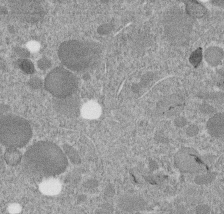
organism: C. elegans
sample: C. elegans embryo early stage